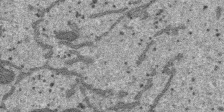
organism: Human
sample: Lung epithelial cells infected with SARS-CoV-2